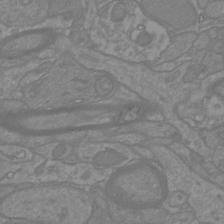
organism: Mouse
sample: Cortical neurons